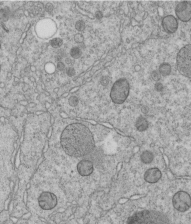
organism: C. elegans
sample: C. elegans embryo early stage